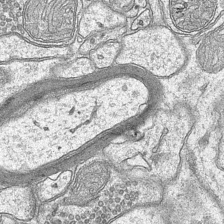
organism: Mouse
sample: CA1 Hippocampus